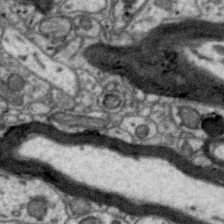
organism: Zebra finch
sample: Brain